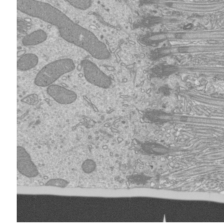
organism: Mouse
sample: Cilia; mouse epididymis